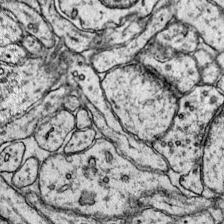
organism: Mouse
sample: Primary visual cortex